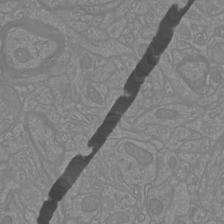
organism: Mouse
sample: Cortical neurons